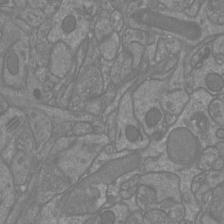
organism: Mouse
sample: Cortical neurons